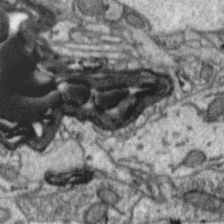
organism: Zebra finch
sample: Brain